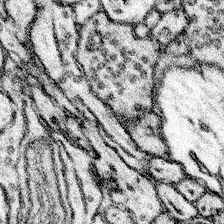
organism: Mouse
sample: Somatosensory cortex neuropil